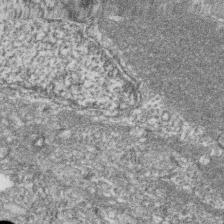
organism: Zebrafish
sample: Cilia; retinal pigment epithelium